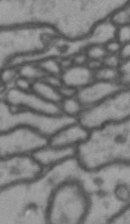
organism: Drosophila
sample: Brain